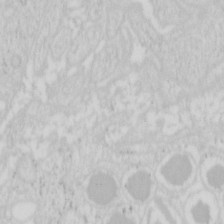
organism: Mouse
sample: Pancreas